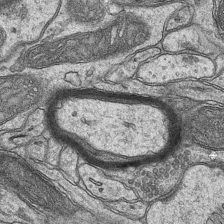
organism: Mouse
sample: CA1 Hippocampus